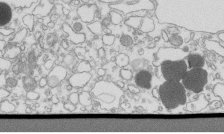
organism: Mouse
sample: Macrophages